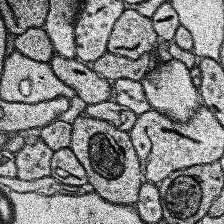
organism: Human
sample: Temporal Lobe